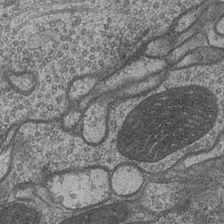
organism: Drosophila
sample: Optic medulla